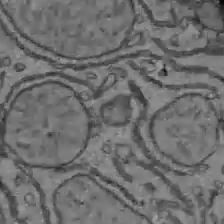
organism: C57BL Mouse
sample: Liver